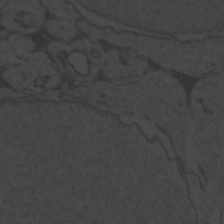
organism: Zebrafish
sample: Macrophage infected with Toxoplasma gondii